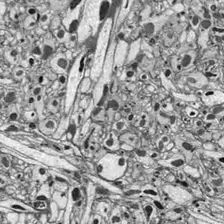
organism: Drosophila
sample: Optic lobe